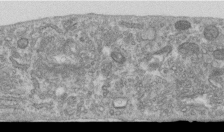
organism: Human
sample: Centriole in RPE cells